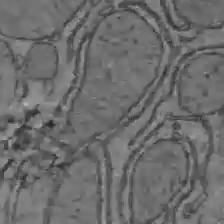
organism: C57BL Mouse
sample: Liver